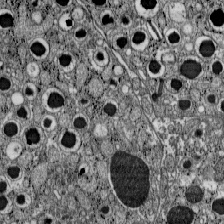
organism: C57BL Mouse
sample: Pancreatic islet